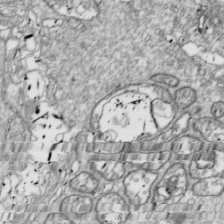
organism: Drosophila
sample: Cell division; meiosis; drosophila spermatocytes